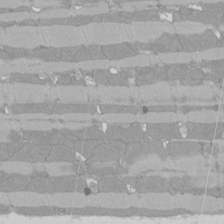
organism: Rat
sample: Left ventricle